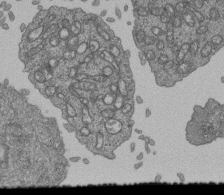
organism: Human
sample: Retinal organoid Rod and Cone cells